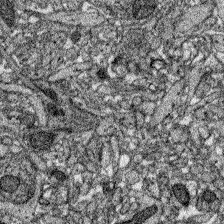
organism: Zebrafish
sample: Larval olfactory bulb